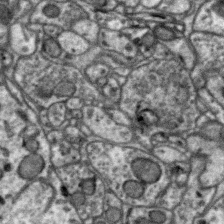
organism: Zebra finch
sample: Brain